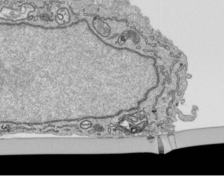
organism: Human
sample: Mitochondria in HCT116 cells